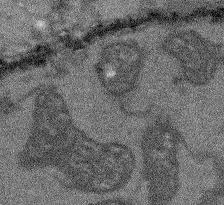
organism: Arabidopsis thaliana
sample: Root tip